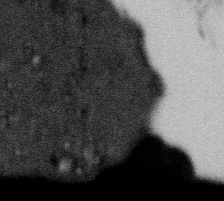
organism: Gemmata obscuriglobus